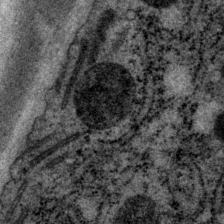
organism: P. pacificus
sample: Pharynx